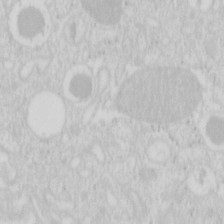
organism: Mouse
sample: Pancreas